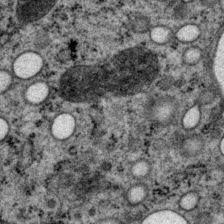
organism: P. pacificus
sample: Pharynx